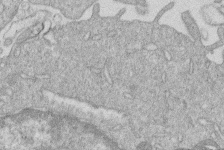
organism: Human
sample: Macrophage cells